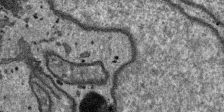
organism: Human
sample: Lung epithelial cells, uninfected (mock) control